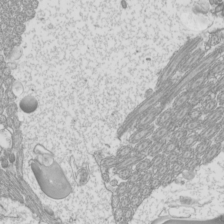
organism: Mouse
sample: Cilia; mouse epididymis